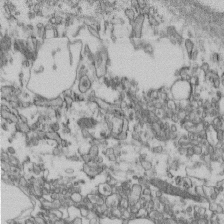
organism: Mouse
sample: Cilia; retinal pigment epithelium